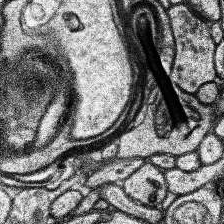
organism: Human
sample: Temporal Lobe